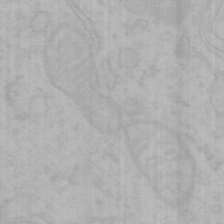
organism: Mouse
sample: Choroid plexus